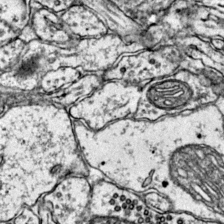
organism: Mouse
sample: Primary visual cortex